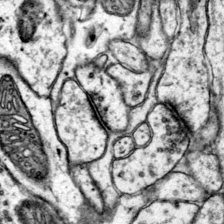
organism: Mouse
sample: Primary visual cortex